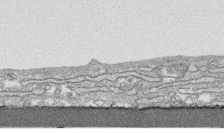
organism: Human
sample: CRL-1474